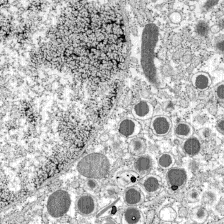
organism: C57BL Mouse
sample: Pancreatic islet